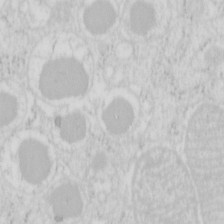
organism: Mouse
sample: Pancreas